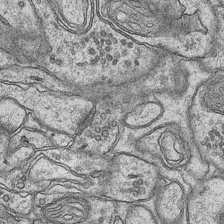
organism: Mouse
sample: CA1 Hippocampus